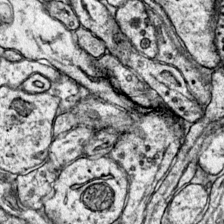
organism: Mouse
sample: Primary visual cortex